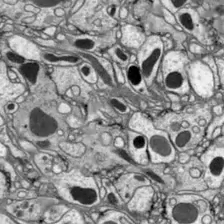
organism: Drosophila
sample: Optic lobe